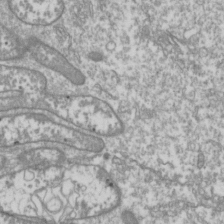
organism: Drosophila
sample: Cell division; meiosis; drosophila spermatocytes